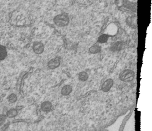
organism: Human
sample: MDA-MB-231 cells